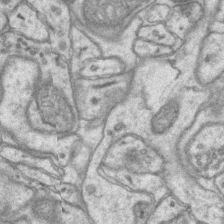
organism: Mouse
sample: CA1 Hippocampus